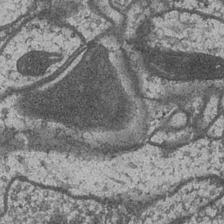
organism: Drosophila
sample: Optic medulla